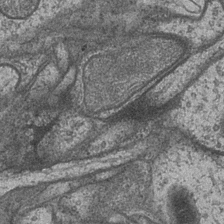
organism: Drosophila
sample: Optic medulla